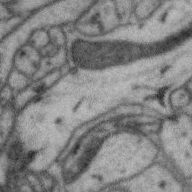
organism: Zebra finch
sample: Brain